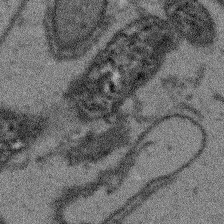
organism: Arabidopsis thaliana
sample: Root tip